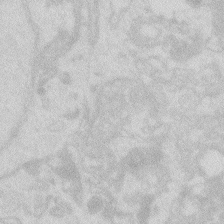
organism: Zebrafish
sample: Macrophage